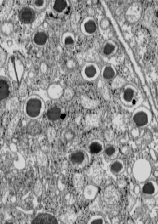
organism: C57BL Mouse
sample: Pancreatic islet